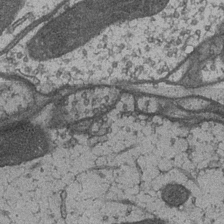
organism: Drosophila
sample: Optic medulla